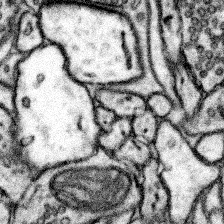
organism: Mouse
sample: Somatosensory cortex neuropil